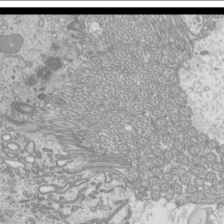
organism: Mouse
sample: Cilia; mouse epididymis